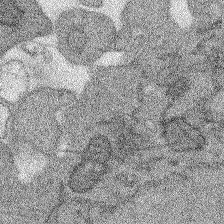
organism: Human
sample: HeLa cells